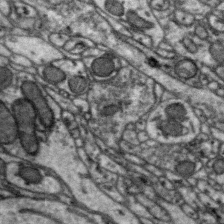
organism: Zebra finch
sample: Brain